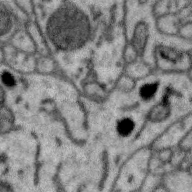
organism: Zebra finch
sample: Brain